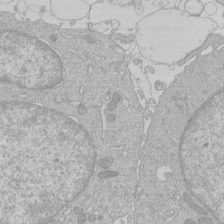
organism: Human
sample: Macrophage cells